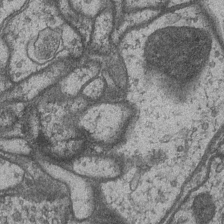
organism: Drosophila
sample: Optic medulla